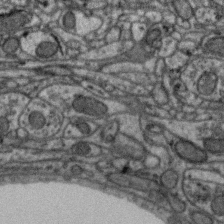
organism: Zebra finch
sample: Brain